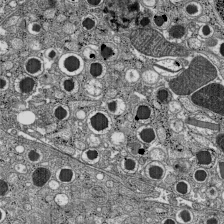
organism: C57BL Mouse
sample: Pancreatic islet